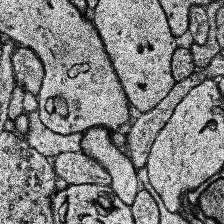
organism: Human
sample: Temporal Lobe